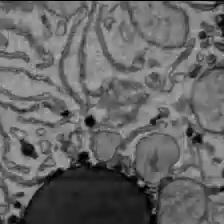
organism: C57BL Mouse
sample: Liver